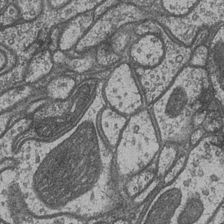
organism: Drosophila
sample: Optic medulla